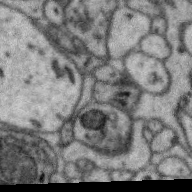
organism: Zebra finch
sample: Brain